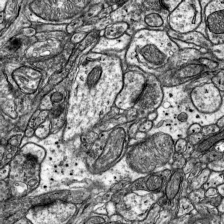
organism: Mouse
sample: Visual Cortex